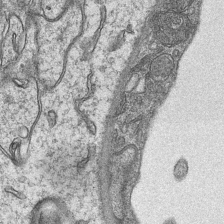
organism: Mouse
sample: CA1 Hippocampus